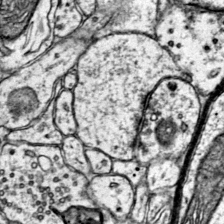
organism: Mouse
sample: Primary visual cortex